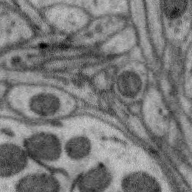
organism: Zebra finch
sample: Brain